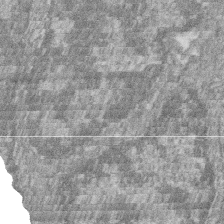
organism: Zebrafish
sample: Cilia; retinal pigment epithelium